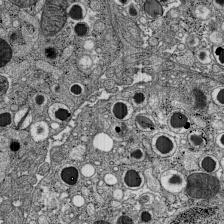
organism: C57BL Mouse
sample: Pancreatic islet